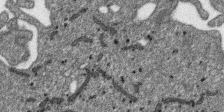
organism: Human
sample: Lung epithelial cells infected with SARS-CoV-2